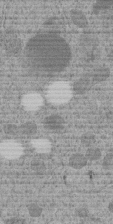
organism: C. elegans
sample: C. elegans embryo early stage